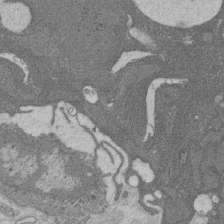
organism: Rat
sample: Salivary granule